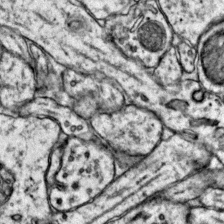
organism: Mouse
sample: Primary visual cortex